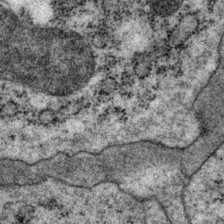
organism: P. pacificus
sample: Pharynx